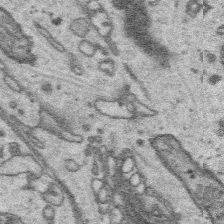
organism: Platynereis dumerilii